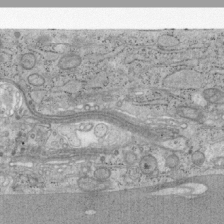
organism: Human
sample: HeLa cells